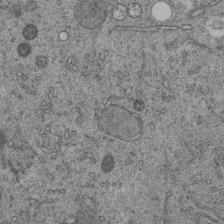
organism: C. elegans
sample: C. elegans embryo early stage